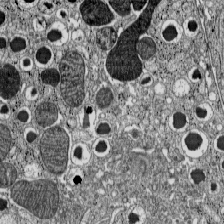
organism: C57BL Mouse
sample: Pancreatic islet